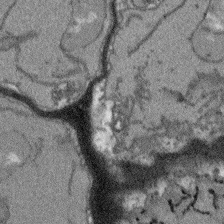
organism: Arabidopsis thaliana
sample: Root tip